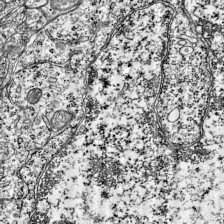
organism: Mouse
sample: Visual Cortex